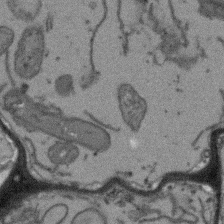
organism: Arabidopsis thaliana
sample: Root tip